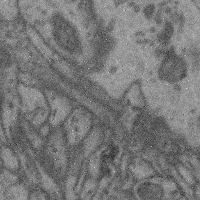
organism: Mouse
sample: Cerebral cortex